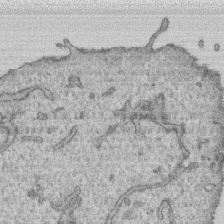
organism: Human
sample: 1205lu cells